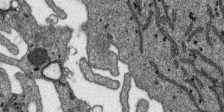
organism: Human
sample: Lung epithelial cells infected with SARS-CoV-2